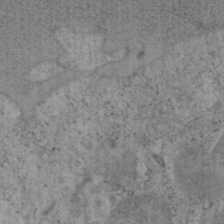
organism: Mouse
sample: OT-I killer T cells with ID8 ovarian cancer cells